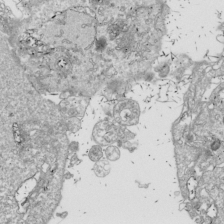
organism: Drosophila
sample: Cell division; meiosis; drosophila spermatocytes